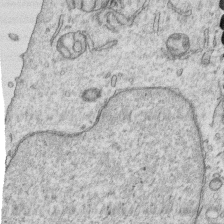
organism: Human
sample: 1205lu cells